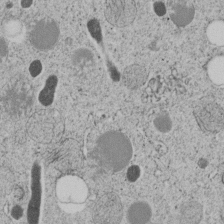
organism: C. elegans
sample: C. elegans embryo early stage